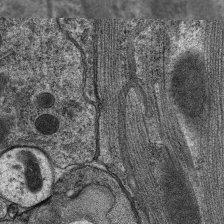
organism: C. elegans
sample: Pharynx